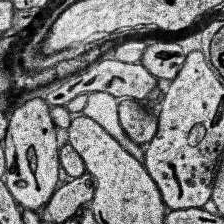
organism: Human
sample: Temporal Lobe